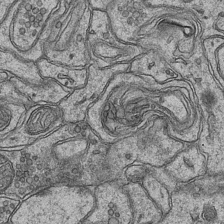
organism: Mouse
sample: CA1 Hippocampus